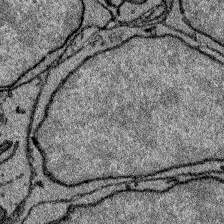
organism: Zebrafish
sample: Larval olfactory bulb